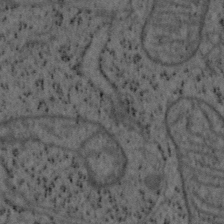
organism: Human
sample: HeLa cells